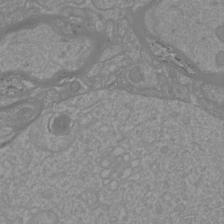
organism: Mouse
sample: Cortical neurons